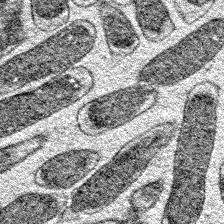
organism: E. coli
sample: E. Coli Bacteria